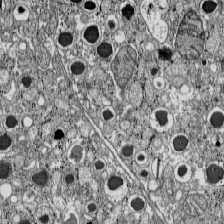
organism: C57BL Mouse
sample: Pancreatic islet